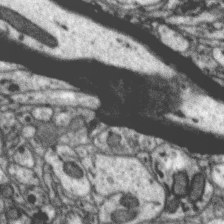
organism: Zebra finch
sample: Brain